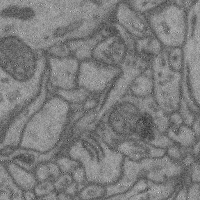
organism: Mouse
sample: Cerebral cortex